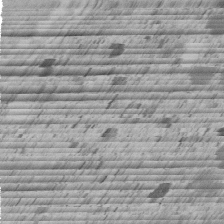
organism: C. elegans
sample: C. elegans embryo early stage